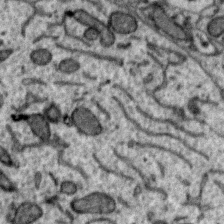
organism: Zebra finch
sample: Brain